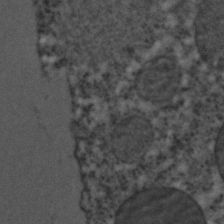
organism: C. elegans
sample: C. elegans embryo